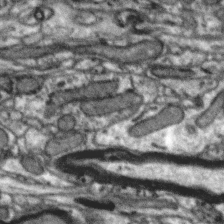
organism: Zebra finch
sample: Brain